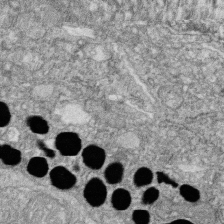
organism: Zebrafish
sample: Cilia; retinal pigment epithelium